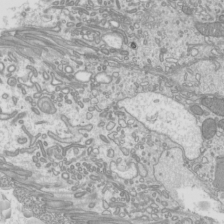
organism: Mouse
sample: Cilia; mouse epididymis